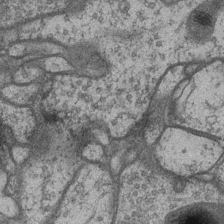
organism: Drosophila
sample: Optic medulla